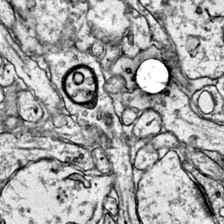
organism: Mouse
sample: Primary visual cortex